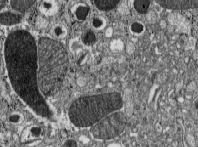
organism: C57BL Mouse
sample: Pancreatic islet